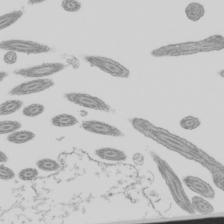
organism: Mouse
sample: Cilia; mouse epididymis